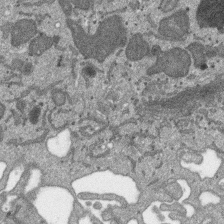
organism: Human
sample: Lung epithelial cells infected with SARS-CoV-2